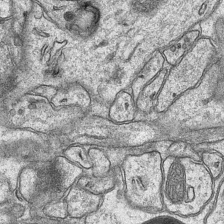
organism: Mouse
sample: CA1 Hippocampus